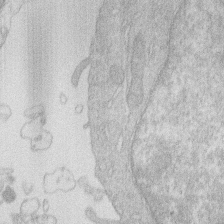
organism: Human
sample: Macrophage cells